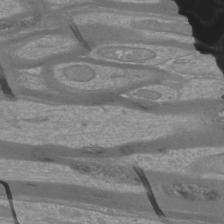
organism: Mouse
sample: Cortical neurons